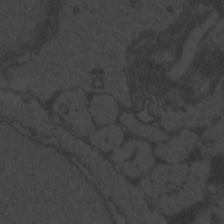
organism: Zebrafish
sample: Macrophage infected with Toxoplasma gondii